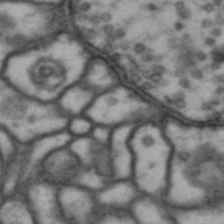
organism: Drosophila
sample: Brain